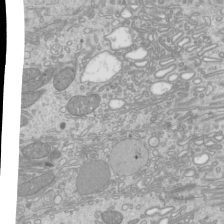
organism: Mouse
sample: Cilia; mouse epididymis